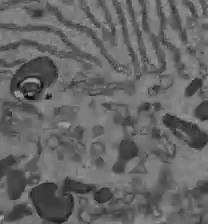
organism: C57BL Mouse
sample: Liver